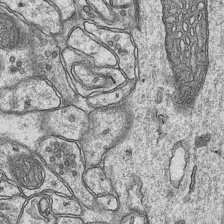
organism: Mouse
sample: CA1 Hippocampus